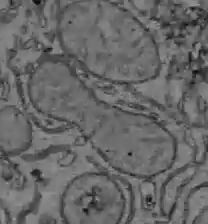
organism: C57BL Mouse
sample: Liver